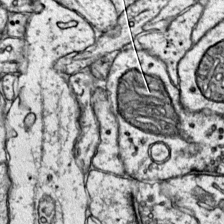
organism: Mouse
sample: Primary visual cortex